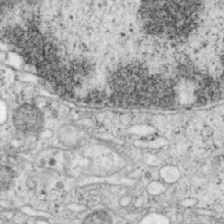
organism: Mouse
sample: OT-I killer T cells with ID8 ovarian cancer cells